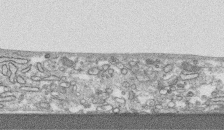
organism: Human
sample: CRL-1474